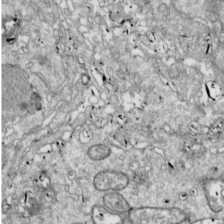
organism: Drosophila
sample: Cell division; meiosis; drosophila spermatocytes